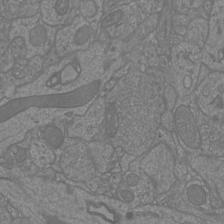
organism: Mouse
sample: Cortical neurons